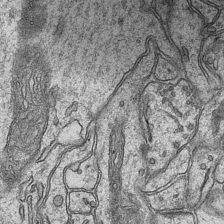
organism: Mouse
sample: CA1 Hippocampus